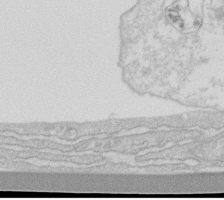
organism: Human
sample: Fibroblast cells